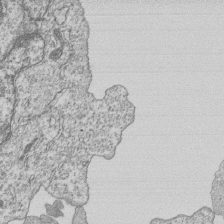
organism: Human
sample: MDA-MB-231 cells